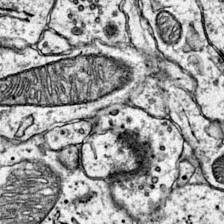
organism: Mouse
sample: Primary visual cortex